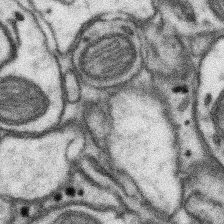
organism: Mouse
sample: Somatosensory cortex neuropil